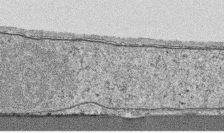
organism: Human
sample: CRL-1474